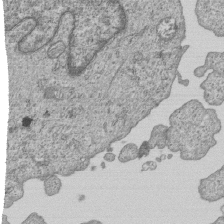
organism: Human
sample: MDA-MB-231 cells